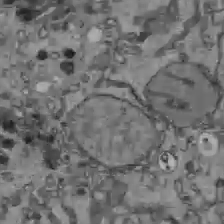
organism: C57BL Mouse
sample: Liver